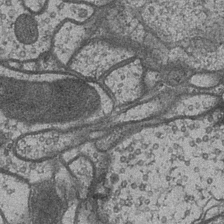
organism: Drosophila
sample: Optic medulla